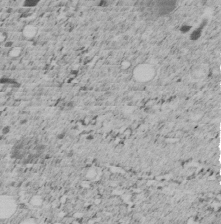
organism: C. elegans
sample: C. elegans embryo early stage